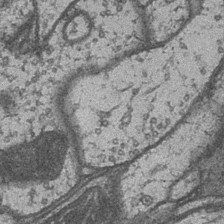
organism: Drosophila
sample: Optic medulla